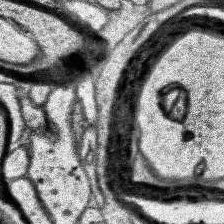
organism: Human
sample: Temporal Lobe